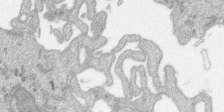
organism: Human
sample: Lung epithelial cells infected with SARS-CoV-2